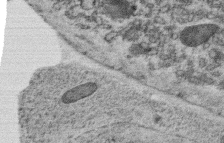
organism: C. elegans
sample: C. elegans oocyte; sperm cells